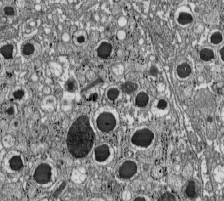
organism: C57BL Mouse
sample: Pancreatic islet